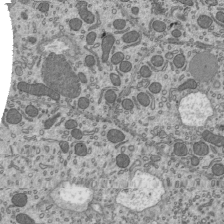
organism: Mouse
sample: Mouse epididymis efferent ductule cilia